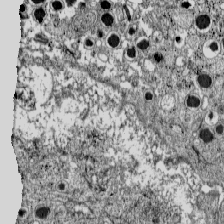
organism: C57BL Mouse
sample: Pancreatic islet